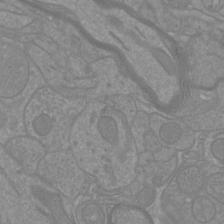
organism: Mouse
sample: Cortical neurons